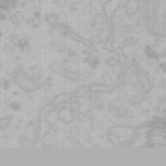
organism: Mouse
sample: Choroid plexus